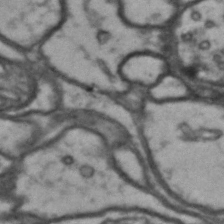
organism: Drosophila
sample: Brain